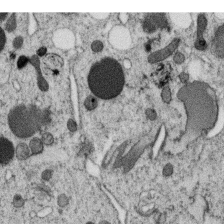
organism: C. elegans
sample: C. elegans oocyte; sperm cells